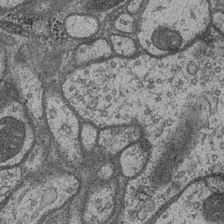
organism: Drosophila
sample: Optic medulla